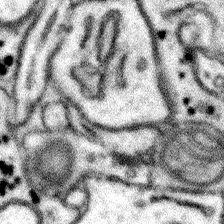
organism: Mouse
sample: Somatosensory cortex neuropil